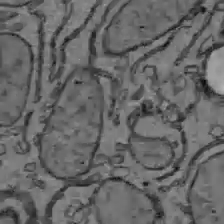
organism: C57BL Mouse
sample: Liver